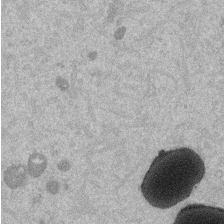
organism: Mouse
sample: Dividing mouse embryo 1 cell stage